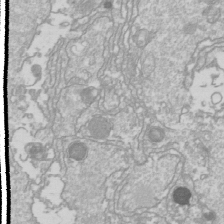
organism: Drosophila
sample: Cell division; meiosis; drosophila spermatocytes